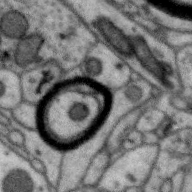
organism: Zebra finch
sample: Brain